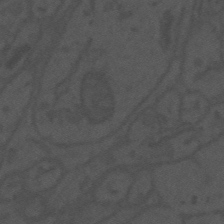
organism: Mouse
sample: Suprachiasmatic nucleus